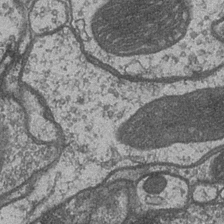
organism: Drosophila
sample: Optic medulla